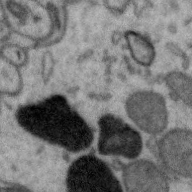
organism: Zebra finch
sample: Brain